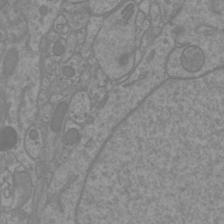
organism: Mouse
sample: Cortical neurons